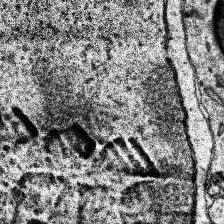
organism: Human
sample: Temporal Lobe